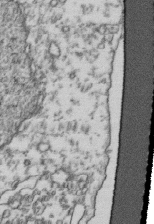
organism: Human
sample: Activated Jurkat CD4+ T cells